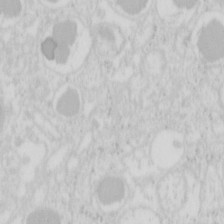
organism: Mouse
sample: Pancreas